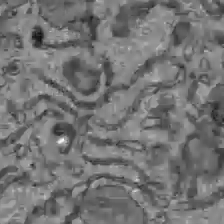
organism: C57BL Mouse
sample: Liver